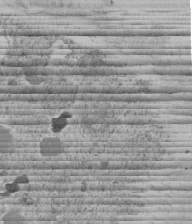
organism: C. elegans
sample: C. elegans embryo early stage